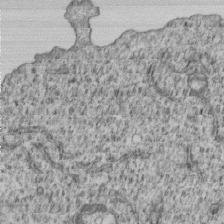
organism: Human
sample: MDA-MB-231 cells